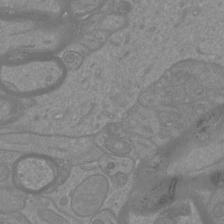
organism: Mouse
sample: Cortical neurons